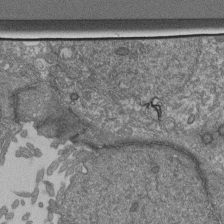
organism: Human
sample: Retinal organoid Rod and Cone cells